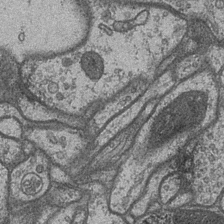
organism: Drosophila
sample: Optic medulla